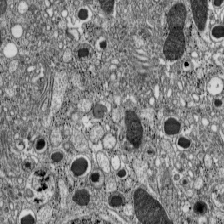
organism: C57BL Mouse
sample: Pancreatic islet